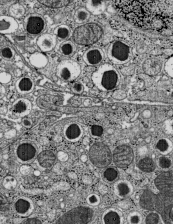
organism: C57BL Mouse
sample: Pancreatic islet